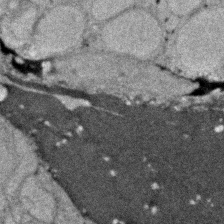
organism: Zebrafish